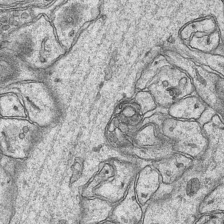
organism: Mouse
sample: CA1 Hippocampus